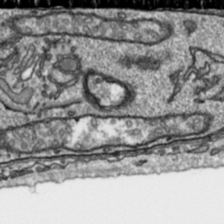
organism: Toxoplasma gondii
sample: Parasites in a vacuole inside a host cell